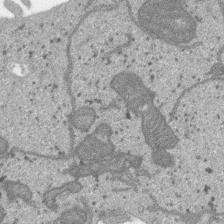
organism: Human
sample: Lung epithelial cells infected with SARS-CoV-2